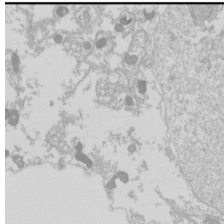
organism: Drosophila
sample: Cell division; meiosis; drosophila spermatocytes